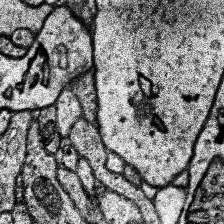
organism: Human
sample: Temporal Lobe